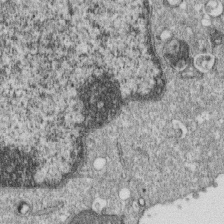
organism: African green monkey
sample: Vero E6 cells infected with SARS-CoV-2